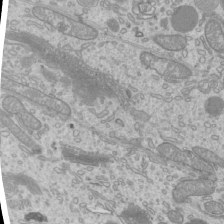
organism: Mouse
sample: Cilia; mouse epididymis